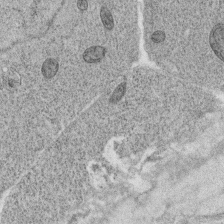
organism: C. elegans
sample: C. elegans oocyte; sperm cells